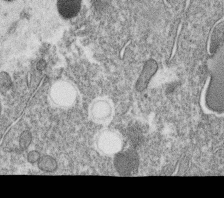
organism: C. elegans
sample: C. elegans oocyte; sperm cells